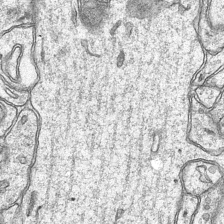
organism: Mouse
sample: CA1 Hippocampus